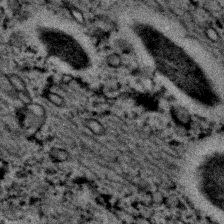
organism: C. elegans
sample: C. elegans embryo